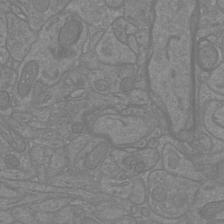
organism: Mouse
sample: Cortical neurons